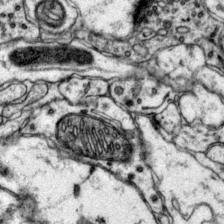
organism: Mouse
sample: Primary visual cortex